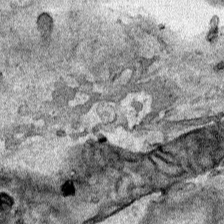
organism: Human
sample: Mitochondria in HCT116 cells